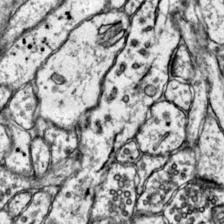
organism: Mouse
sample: Primary visual cortex